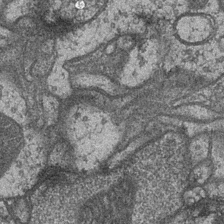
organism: Drosophila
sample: Optic medulla